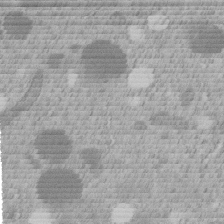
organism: C. elegans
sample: C. elegans embryo early stage